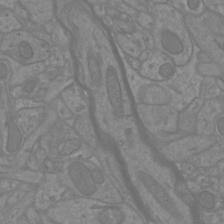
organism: Mouse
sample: Cortical neurons